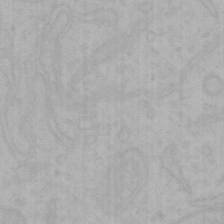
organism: Mouse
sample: Choroid plexus